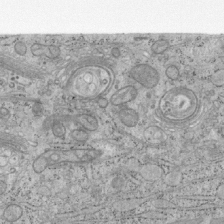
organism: Human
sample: HeLa cells